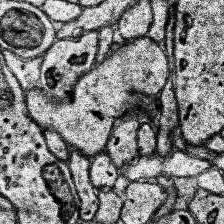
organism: Human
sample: Temporal Lobe